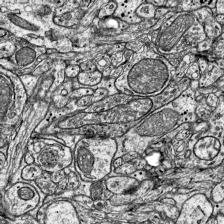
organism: Mouse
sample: Visual Cortex